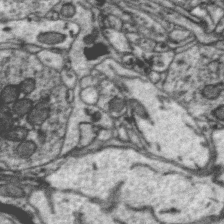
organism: Zebra finch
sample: Brain